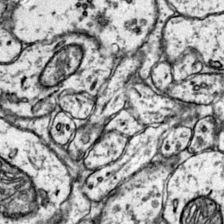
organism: Mouse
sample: Primary visual cortex